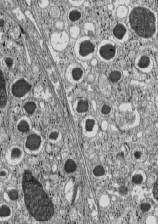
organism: C57BL Mouse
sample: Pancreatic islet